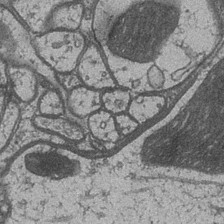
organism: Drosophila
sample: Optic medulla